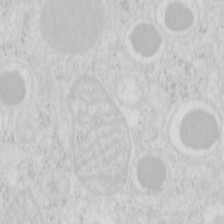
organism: Mouse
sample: Pancreas